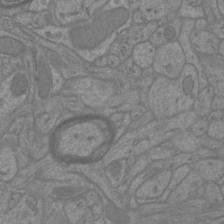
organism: Mouse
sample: Cortical neurons